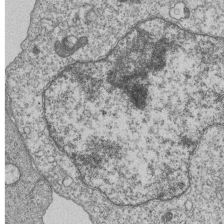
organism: Human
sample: MDA-MB-231 cells